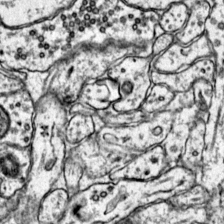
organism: Mouse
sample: Primary visual cortex